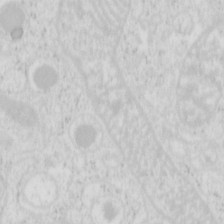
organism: Mouse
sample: Pancreas